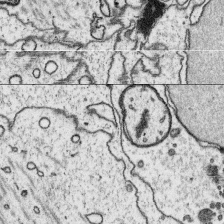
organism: Platynereis dumerilii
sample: Parapodia